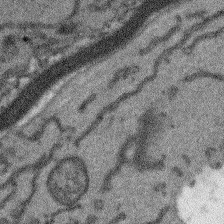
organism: Arabidopsis thaliana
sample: Root tip